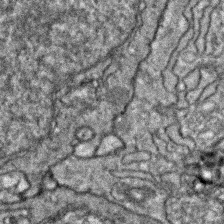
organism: Zebrafish